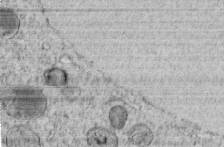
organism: C. elegans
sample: C. elegans embryo early stage